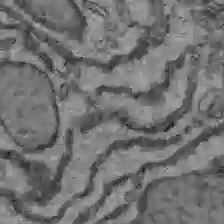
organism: C57BL Mouse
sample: Liver